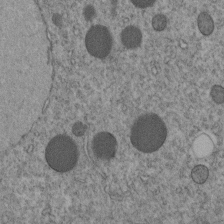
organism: C. elegans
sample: C. elegans embryo early stage